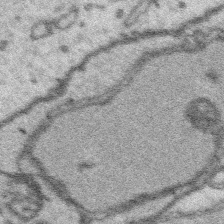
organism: Platynereis dumerilii